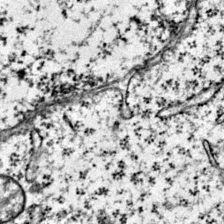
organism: Mouse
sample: Primary visual cortex